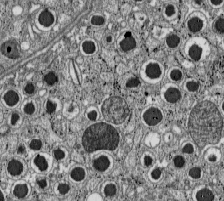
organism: C57BL Mouse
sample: Pancreatic islet